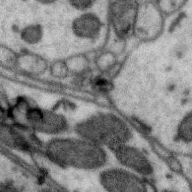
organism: Zebra finch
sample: Brain